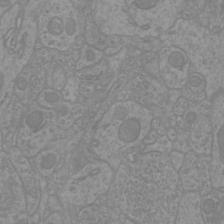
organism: Mouse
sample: Cortical neurons